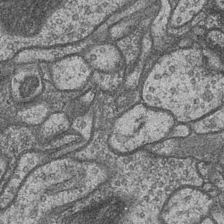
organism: Drosophila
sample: Optic medulla